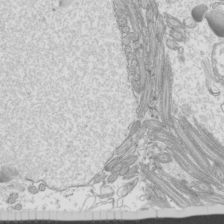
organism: Mouse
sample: Cilia; mouse epididymis